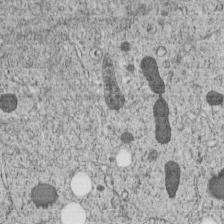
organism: C. elegans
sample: C. elegans embryo early stage